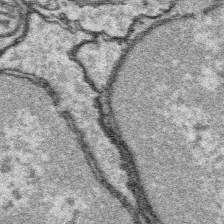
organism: Platynereis dumerilii